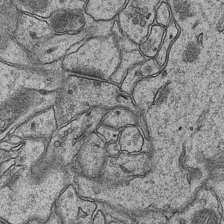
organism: Mouse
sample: CA1 Hippocampus